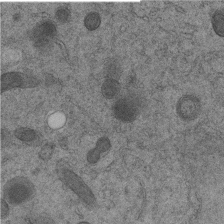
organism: C. elegans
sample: C. elegans embryo early stage